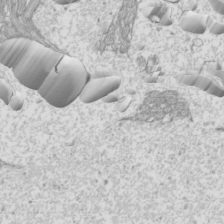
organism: Mouse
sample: Cilia; mouse epididymis